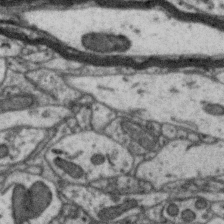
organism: Zebra finch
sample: Brain